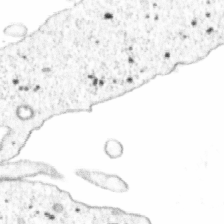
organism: Human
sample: HeLa cells